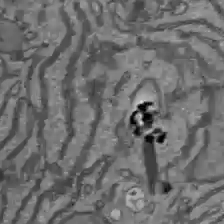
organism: C57BL Mouse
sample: Liver